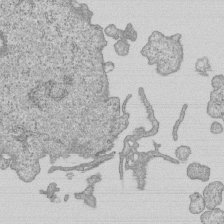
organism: Human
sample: MDA-MB-231 cells